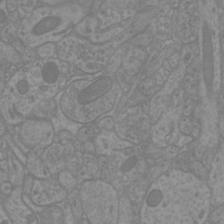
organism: Mouse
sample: Cortical neurons